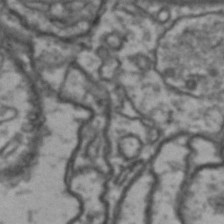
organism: Drosophila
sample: Brain